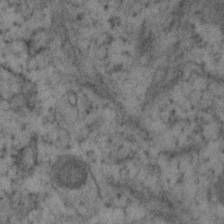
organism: Human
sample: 1205lu cells